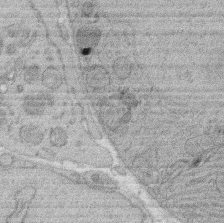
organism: Rat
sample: Salivary granule